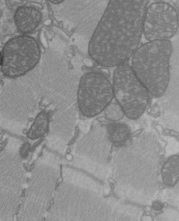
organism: C57BL Mouse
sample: Heart